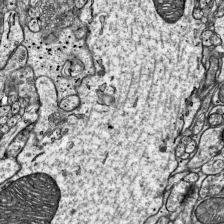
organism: Mouse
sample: Visual Cortex